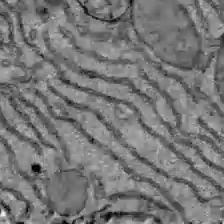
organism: C57BL Mouse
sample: Liver